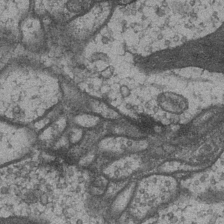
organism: Drosophila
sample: Optic medulla